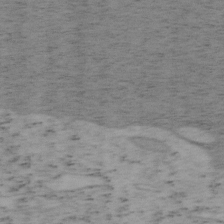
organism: Mouse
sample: OT-I killer T cells with ID8 ovarian cancer cells